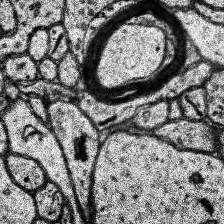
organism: Human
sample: Temporal Lobe